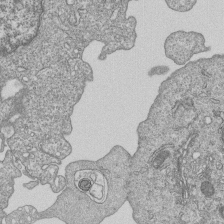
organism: Human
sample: MDA-MB-231 cells